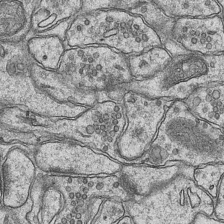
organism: Mouse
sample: CA1 Hippocampus